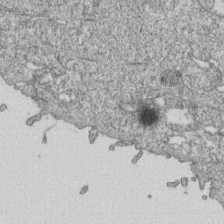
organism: Human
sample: HeLa cell HIV synapse